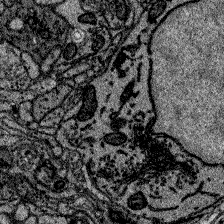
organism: Zebrafish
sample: Larval olfactory bulb